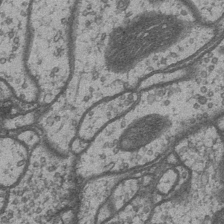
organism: Drosophila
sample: Optic medulla